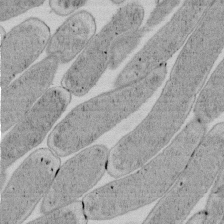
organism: E. coli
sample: Bacterial nucleoid